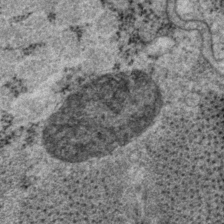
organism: P. pacificus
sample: Pharynx